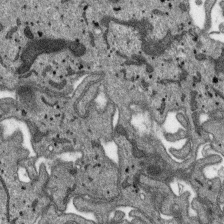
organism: Human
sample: Lung epithelial cells, uninfected (mock) control